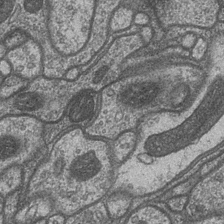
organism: Drosophila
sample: Optic medulla